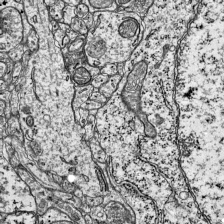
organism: Mouse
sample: Visual Cortex